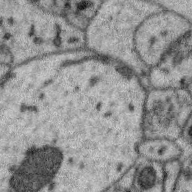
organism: Zebra finch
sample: Brain